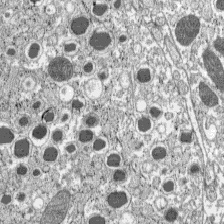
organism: C57BL Mouse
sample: Pancreatic islet